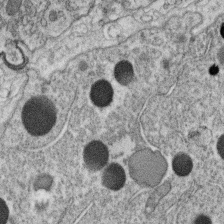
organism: C. elegans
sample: C. elegans oocyte; sperm cells